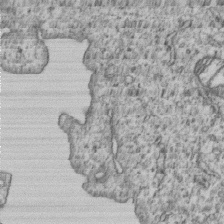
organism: Human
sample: MDA-MB-231 cells